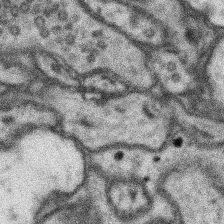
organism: Mouse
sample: Somatosensory cortex neuropil